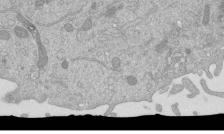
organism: Mouse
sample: ED-1 cell nuclei; centrioles